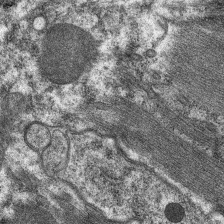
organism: C. elegans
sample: Pharynx